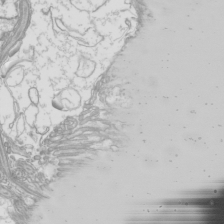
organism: Mouse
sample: Cilia; mouse epididymis